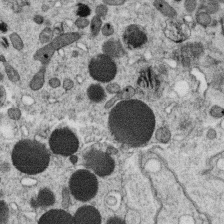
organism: C. elegans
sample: C. elegans oocyte; sperm cells